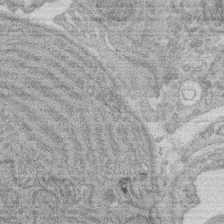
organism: Rat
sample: Salivary granule